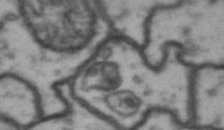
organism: Drosophila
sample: Brain